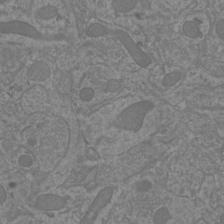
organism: Mouse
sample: Cortical neurons